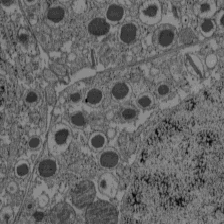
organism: C57BL Mouse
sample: Pancreatic islet